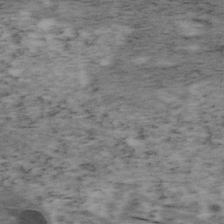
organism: Mouse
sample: OT-I killer T cells with ID8 ovarian cancer cells